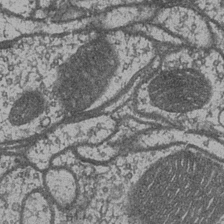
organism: Drosophila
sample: Optic medulla